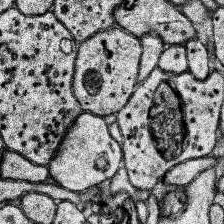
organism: Human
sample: Temporal Lobe